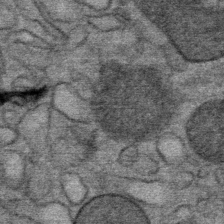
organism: Mouse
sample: Mouse Salivary gland